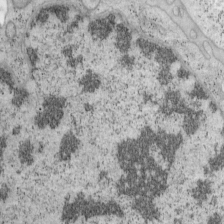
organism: Mouse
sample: OT-I killer T cells with ID8 ovarian cancer cells